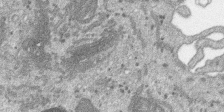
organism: Human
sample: Lung epithelial cells infected with SARS-CoV-2